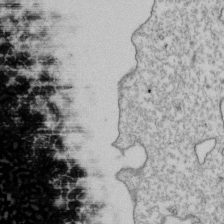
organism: Human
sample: Activated Jurkat CD4+ T cells